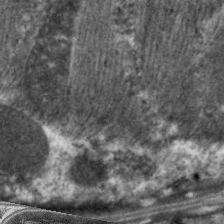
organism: C. elegans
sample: Pharynx